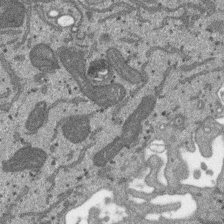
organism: Human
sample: Lung epithelial cells infected with SARS-CoV-2